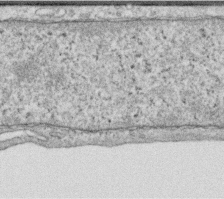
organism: Human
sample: Centriole in RPE cells